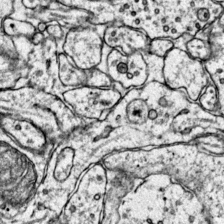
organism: Mouse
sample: Primary visual cortex